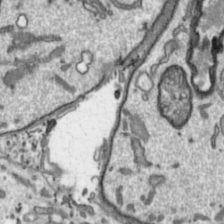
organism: Toxoplasma gondii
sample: Parasites in a vacuole inside a host cell